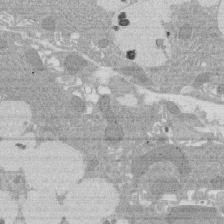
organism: Rat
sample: Salivary granule